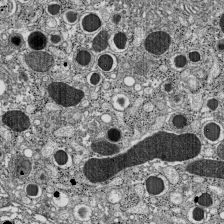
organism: C57BL Mouse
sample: Pancreatic islet